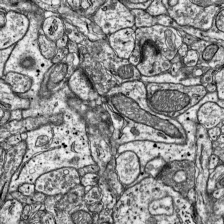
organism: Mouse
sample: Visual Cortex